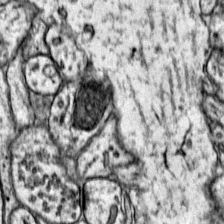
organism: Mouse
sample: Primary visual cortex